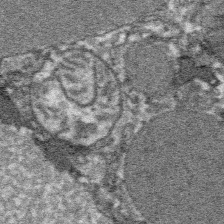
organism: Platynereis dumerilii